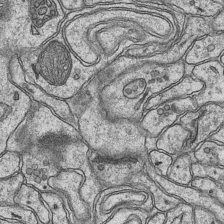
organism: Mouse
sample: CA1 Hippocampus